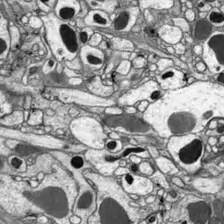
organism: Drosophila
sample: Optic lobe